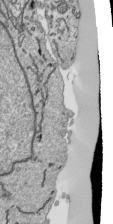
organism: Human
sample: Mitochondria in HCT116 cells